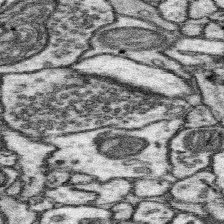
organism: Mouse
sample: Somatosensory cortex neuropil